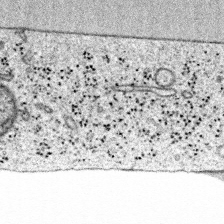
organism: Human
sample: HeLa cells